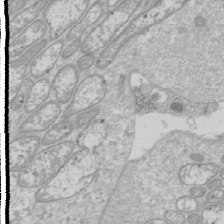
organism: Drosophila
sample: Cell division; meiosis; drosophila spermatocytes